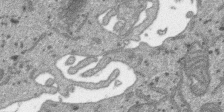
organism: Human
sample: Lung epithelial cells infected with SARS-CoV-2